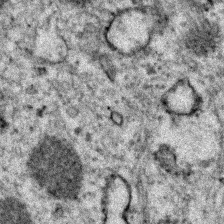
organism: Zebrafish